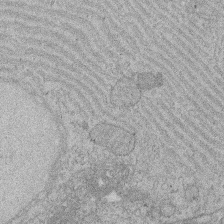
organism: Rat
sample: Salivary granule